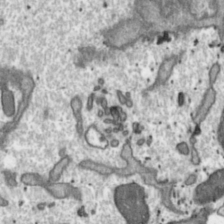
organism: Toxoplasma gondii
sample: Parasites in a vacuole inside a host cell